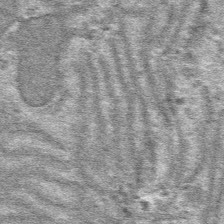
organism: Mouse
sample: Mouse hepatocytes